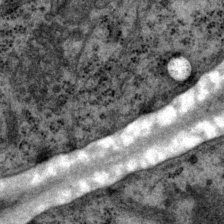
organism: P. pacificus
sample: Pharynx